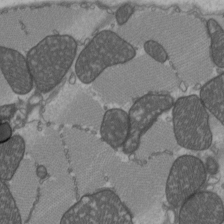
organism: C57BL Mouse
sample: Heart